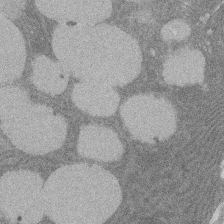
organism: Rat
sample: Salivary granule